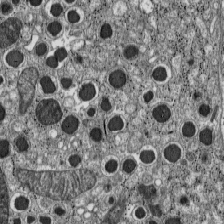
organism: C57BL Mouse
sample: Pancreatic islet